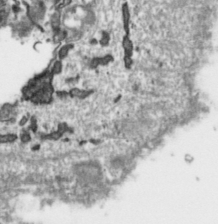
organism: Toxoplasma gondii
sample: Parasites in a vacuole inside a host cell